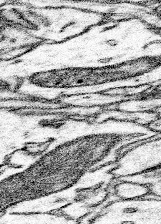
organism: Mouse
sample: Somatosensory cortex neuropil